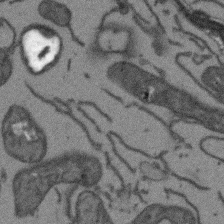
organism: Arabidopsis thaliana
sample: Root tip